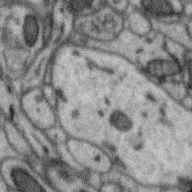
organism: Zebra finch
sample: Brain